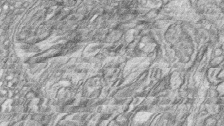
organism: Zebrafish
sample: synaptic ribbons in rod cells and cone cells